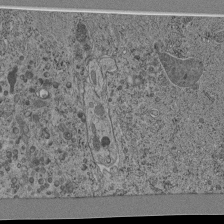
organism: C. elegans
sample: C. elegans pharynx